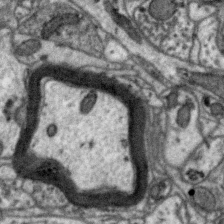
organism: Zebra finch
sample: Brain